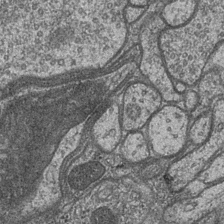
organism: Drosophila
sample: Optic medulla